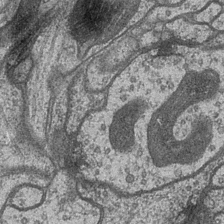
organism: Drosophila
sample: Optic medulla